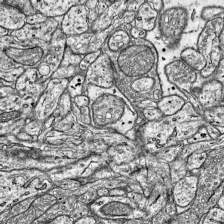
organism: Mouse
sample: Visual Cortex